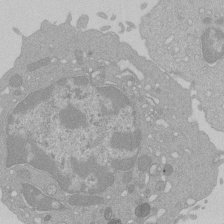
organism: Mouse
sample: Activated Pmel transgenic CD8+ T Cells